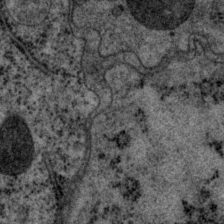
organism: P. pacificus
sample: Pharynx